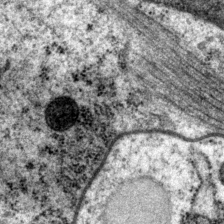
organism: P. pacificus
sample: Pharynx